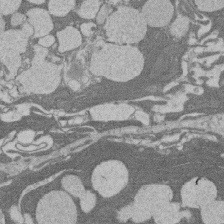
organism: Rat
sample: Salivary granule